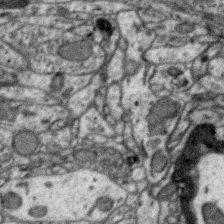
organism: Zebra finch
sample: Brain